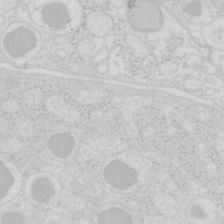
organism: Mouse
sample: Pancreas